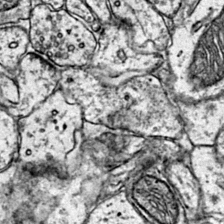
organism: Mouse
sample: Primary visual cortex